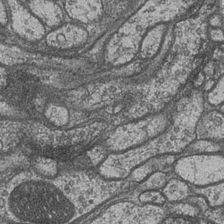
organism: Drosophila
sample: Optic medulla